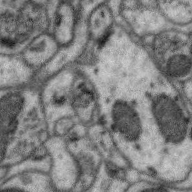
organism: Zebra finch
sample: Brain